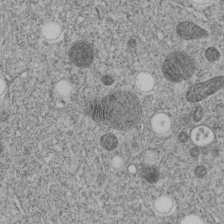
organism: C. elegans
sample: C. elegans embryo early stage